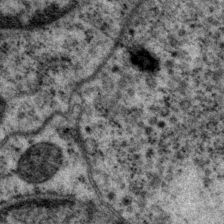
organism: P. pacificus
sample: Pharynx